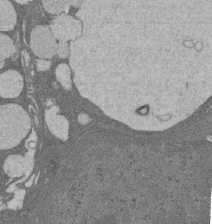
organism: Rat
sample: Salivary granule